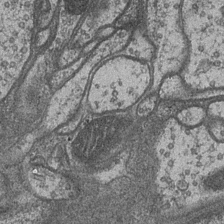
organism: Drosophila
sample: Optic medulla